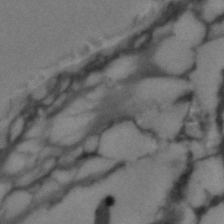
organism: C. elegans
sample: C. elegans embryo